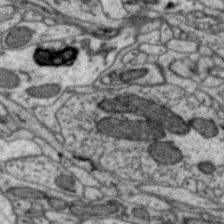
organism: Zebra finch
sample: Brain